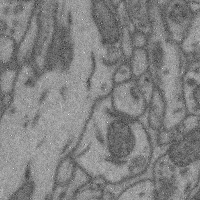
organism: Mouse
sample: Cerebral cortex